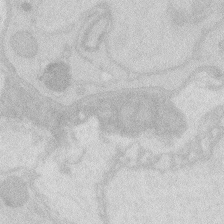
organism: Zebrafish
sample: Macrophage